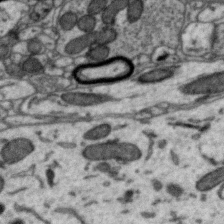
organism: Zebra finch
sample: Brain